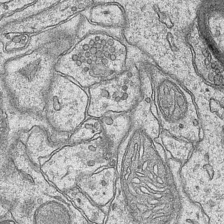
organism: Mouse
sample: CA1 Hippocampus